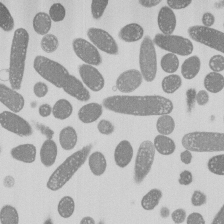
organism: E. coli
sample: Bacterial nucleoid